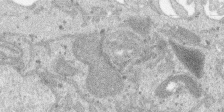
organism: Human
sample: Lung epithelial cells infected with SARS-CoV-2